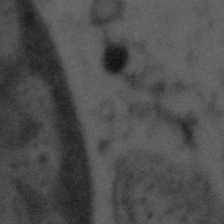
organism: Tuwongella immobilis